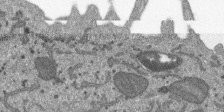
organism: Human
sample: Lung epithelial cells infected with SARS-CoV-2